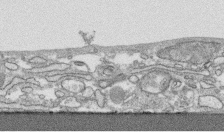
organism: Human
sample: CRL-1474